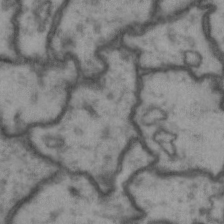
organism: Drosophila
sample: Brain